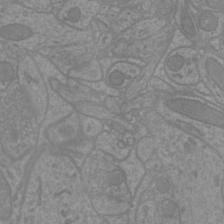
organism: Mouse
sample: Cortical neurons